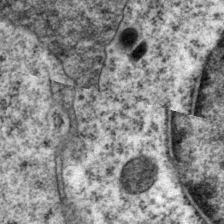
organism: P. pacificus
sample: Pharynx